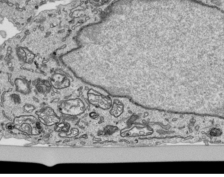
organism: Human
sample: Mitochondria in HCT116 cells